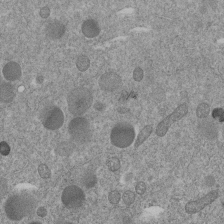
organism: C. elegans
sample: C. elegans embryo early stage